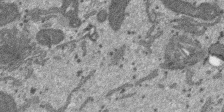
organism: Human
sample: Lung epithelial cells infected with SARS-CoV-2